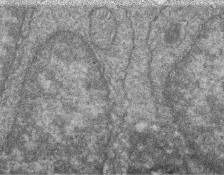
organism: Zebrafish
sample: Cilia; retinal pigment epithelium